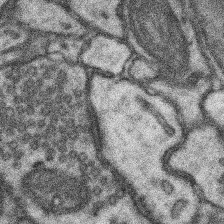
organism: Mouse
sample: Somatosensory cortex neuropil